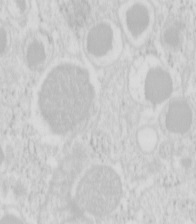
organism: Mouse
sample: Pancreas